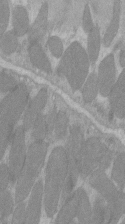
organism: C57BL Mouse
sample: Tibialis anterior muscle cell